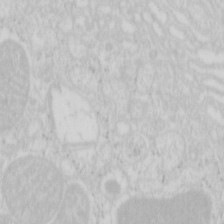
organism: Mouse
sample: Pancreas